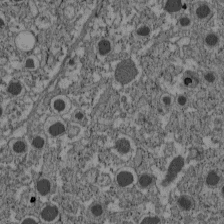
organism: C57BL Mouse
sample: Pancreatic islet